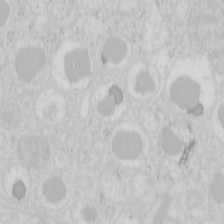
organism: Mouse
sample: Pancreas